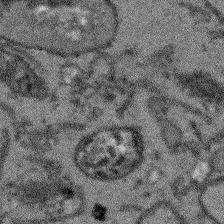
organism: Arabidopsis thaliana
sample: Root tip